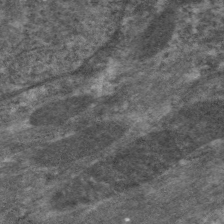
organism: C. elegans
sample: Pharynx